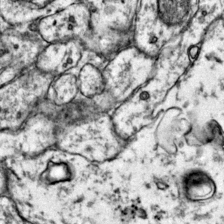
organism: Mouse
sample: Primary visual cortex